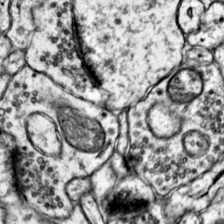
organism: Mouse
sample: Primary visual cortex